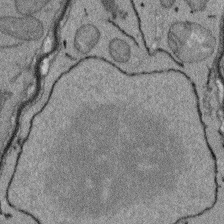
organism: Arabidopsis thaliana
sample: Root tip